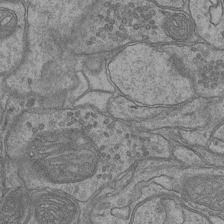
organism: Mouse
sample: CA1 Hippocampus